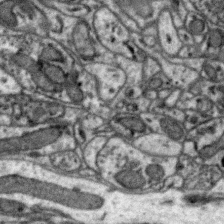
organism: Zebra finch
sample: Brain